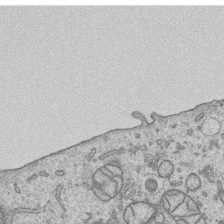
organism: Human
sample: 1205lu cells